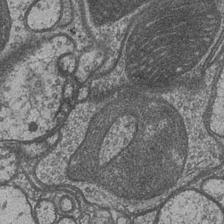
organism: Drosophila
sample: Optic medulla